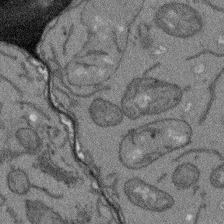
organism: Arabidopsis thaliana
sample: Root tip